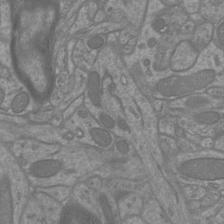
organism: Mouse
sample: Cortical neurons